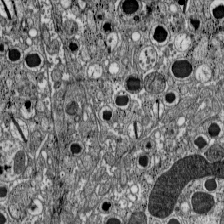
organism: C57BL Mouse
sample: Pancreatic islet